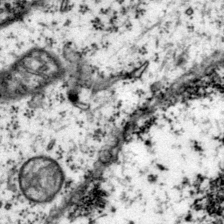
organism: Mouse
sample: Primary visual cortex